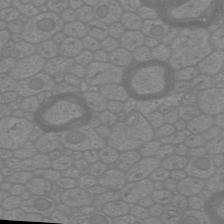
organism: Mouse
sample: Cortical neurons